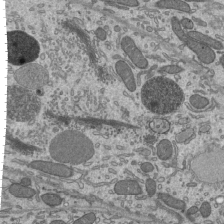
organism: Mouse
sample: Mouse epididymis efferent ductule cilia